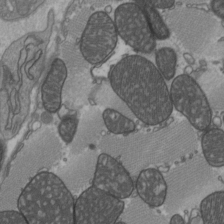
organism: C57BL Mouse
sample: Heart